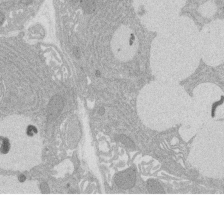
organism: Rat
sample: Salivary granule